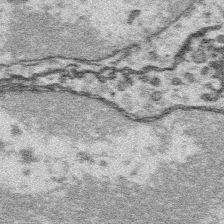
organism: Platynereis dumerilii